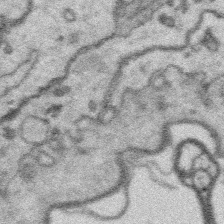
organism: Platynereis dumerilii